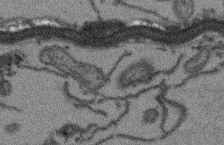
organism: Arabidopsis thaliana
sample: Root tip